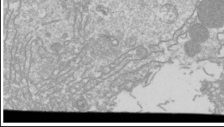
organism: Drosophila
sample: Cell division; meiosis; drosophila spermatocytes